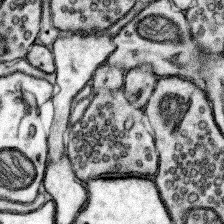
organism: Mouse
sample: Somatosensory cortex neuropil